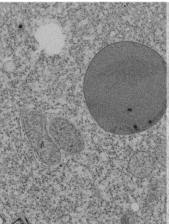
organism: Tetrahymena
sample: Cilia in tetrahymena